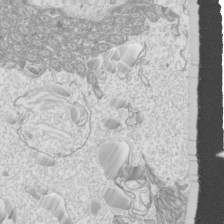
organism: Mouse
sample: Cilia; mouse epididymis